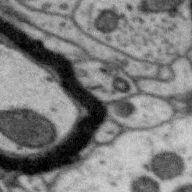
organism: Zebra finch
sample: Brain